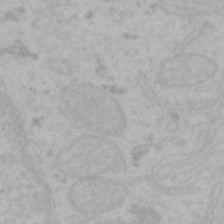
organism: Mouse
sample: Choroid plexus